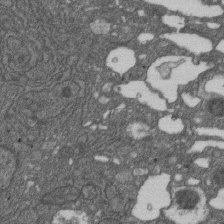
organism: Drosophila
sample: Nephrocyte